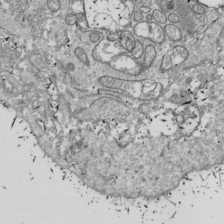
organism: Drosophila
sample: Cell division; meiosis; drosophila spermatocytes